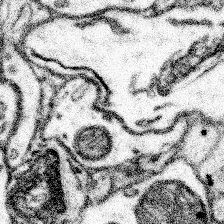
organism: Mouse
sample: Somatosensory cortex neuropil